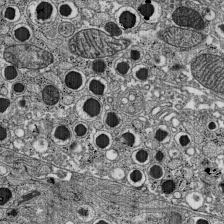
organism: C57BL Mouse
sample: Pancreatic islet